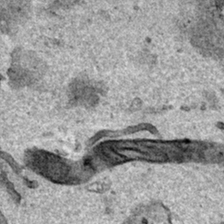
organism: Human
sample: Mitochondria in HCT116 cells